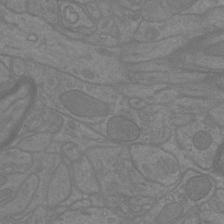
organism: Mouse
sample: Cortical neurons